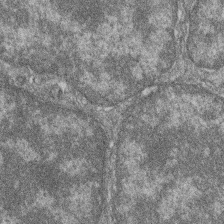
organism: Zebrafish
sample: Cilia; retinal pigment epithelium